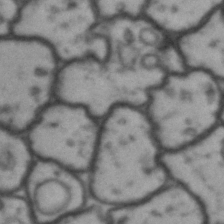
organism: Drosophila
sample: Brain